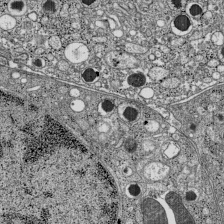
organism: C57BL Mouse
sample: Pancreatic islet